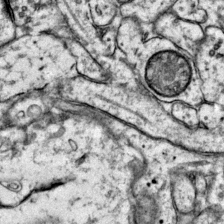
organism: Mouse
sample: Primary visual cortex